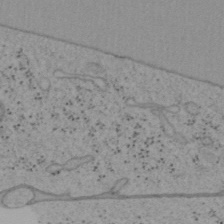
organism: Human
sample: HeLa cells